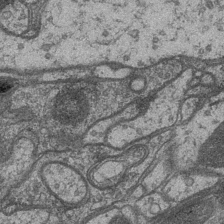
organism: Drosophila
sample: Optic medulla